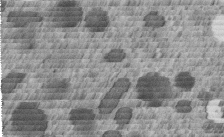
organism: C. elegans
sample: C. elegans embryo early stage